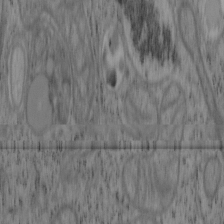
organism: Human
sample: HeLa cells